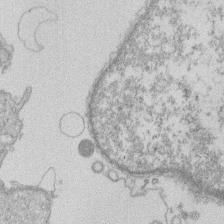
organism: Human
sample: Macrophage cells